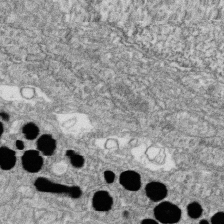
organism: Zebrafish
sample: Cilia; retinal pigment epithelium